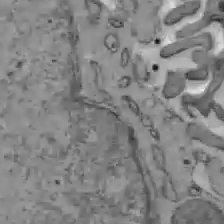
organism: C57BL Mouse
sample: Liver